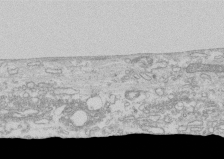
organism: Human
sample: CRL-1474